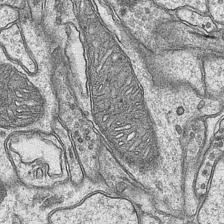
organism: Mouse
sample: CA1 Hippocampus